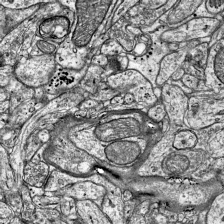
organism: Mouse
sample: Visual Cortex